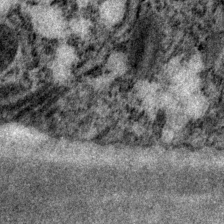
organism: P. pacificus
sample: Pharynx